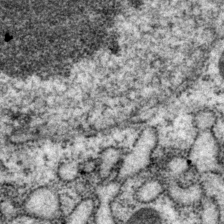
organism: P. pacificus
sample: Pharynx